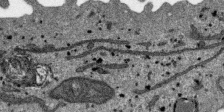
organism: Human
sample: Lung epithelial cells, uninfected (mock) control